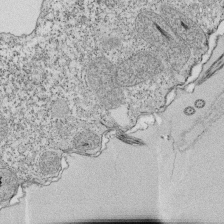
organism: Tetrahymena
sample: Cilia in tetrahymena